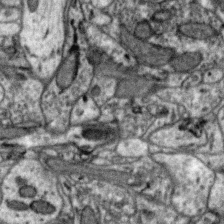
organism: Zebra finch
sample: Brain